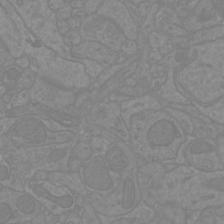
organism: Mouse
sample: Cortical neurons